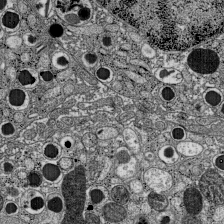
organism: C57BL Mouse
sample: Pancreatic islet